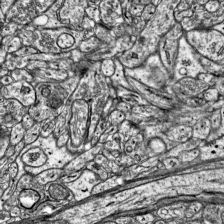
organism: Mouse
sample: Visual Cortex